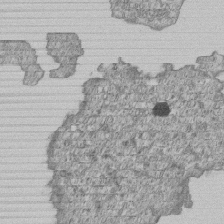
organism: Human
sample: MDA-MB-231 cells